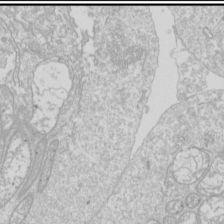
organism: Drosophila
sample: Cell division; meiosis; drosophila spermatocytes